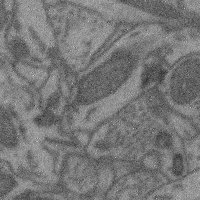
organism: Mouse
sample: Cerebral cortex